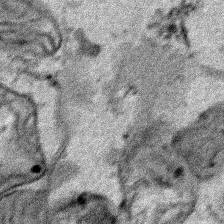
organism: Human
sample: Mitochondria in HCT116 cells